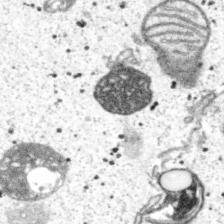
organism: Human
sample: HeLa cells